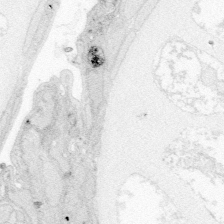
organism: Zebrafish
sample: Whole-Brain